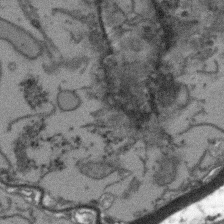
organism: Arabidopsis thaliana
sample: Root tip